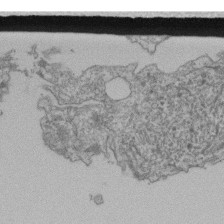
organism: Human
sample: Retinal organoid Rod and Cone cells